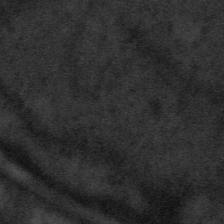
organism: Tuwongella immobilis